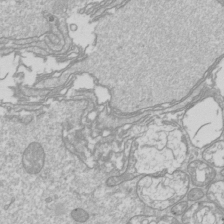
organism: Drosophila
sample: Cell division; meiosis; drosophila spermatocytes